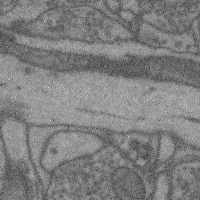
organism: Mouse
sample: Cerebral cortex